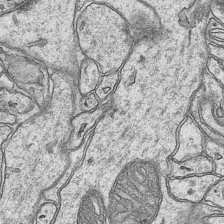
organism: Mouse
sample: CA1 Hippocampus